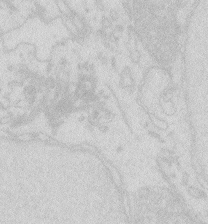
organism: Zebrafish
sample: Macrophage